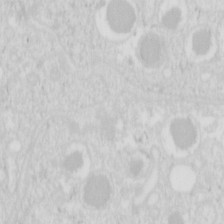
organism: Mouse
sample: Pancreas